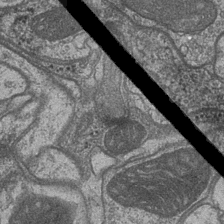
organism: Drosophila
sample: Optic medulla